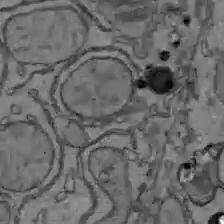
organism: C57BL Mouse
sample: Liver